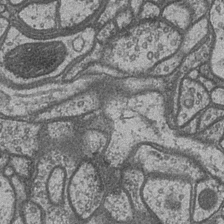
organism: Drosophila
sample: Optic medulla